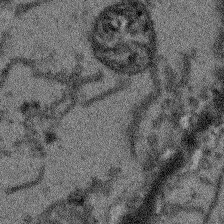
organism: Arabidopsis thaliana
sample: Root tip